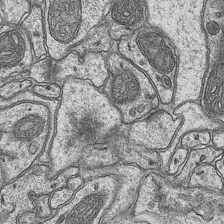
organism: Mouse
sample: CA1 Hippocampus